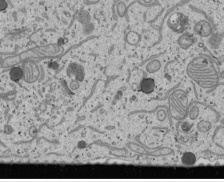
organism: Human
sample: Mitochondria in U2OS cells